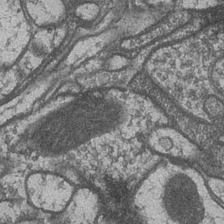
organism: Drosophila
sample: Optic medulla